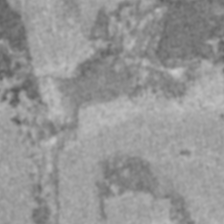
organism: C57BL Mouse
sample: Heart